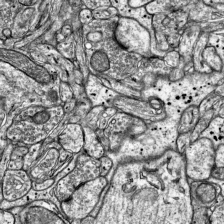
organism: Mouse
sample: Visual Cortex